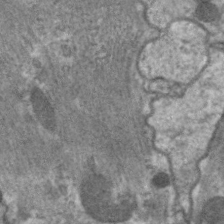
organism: C. elegans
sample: Pharynx